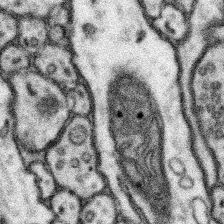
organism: Mouse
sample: Somatosensory cortex neuropil